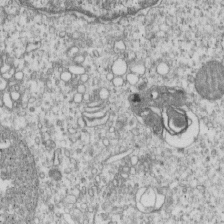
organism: Human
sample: MDA-MB-231 cells